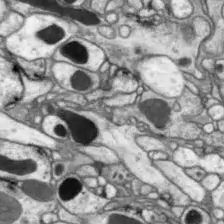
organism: Drosophila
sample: Optic lobe